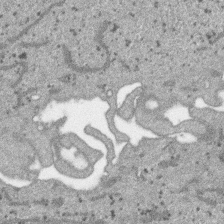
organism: Human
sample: Lung epithelial cells infected with SARS-CoV-2